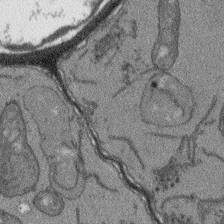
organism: Arabidopsis thaliana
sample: Root tip